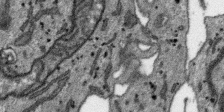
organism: Human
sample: Lung epithelial cells, uninfected (mock) control